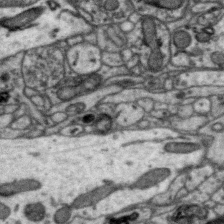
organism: Zebra finch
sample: Brain